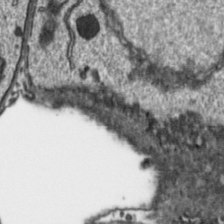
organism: Toxoplasma gondii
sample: Parasites in a vacuole inside a host cell